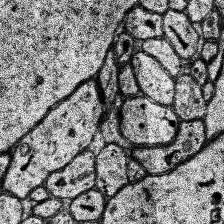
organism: Human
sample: Temporal Lobe